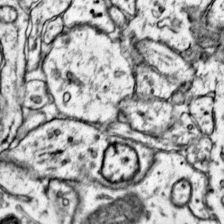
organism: Mouse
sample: Primary visual cortex